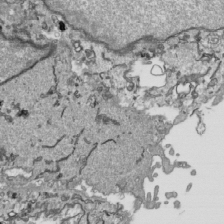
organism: Human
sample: Mitochondria in HCT116 cells